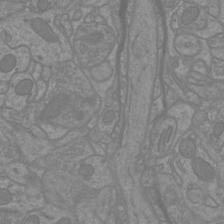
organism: Mouse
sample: Cortical neurons